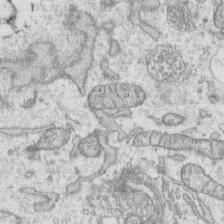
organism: Human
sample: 1205lu cells